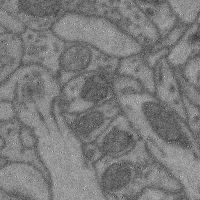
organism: Mouse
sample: Cerebral cortex